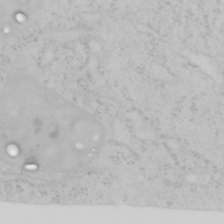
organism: Mouse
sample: OT-I killer T cells with ID8 ovarian cancer cells